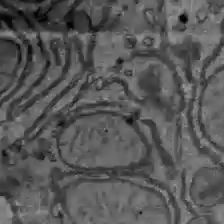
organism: C57BL Mouse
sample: Liver